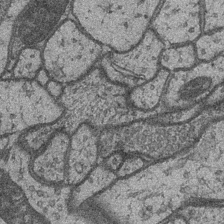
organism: Drosophila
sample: Optic medulla